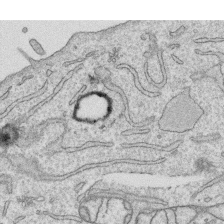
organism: Human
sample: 1205lu cells